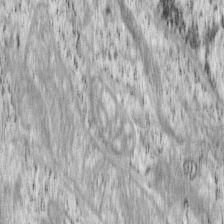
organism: Human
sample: HeLa cells